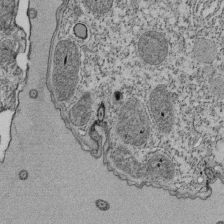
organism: Tetrahymena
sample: Cilia in tetrahymena